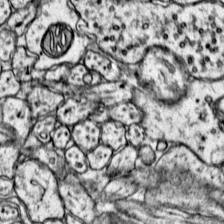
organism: Mouse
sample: Primary visual cortex